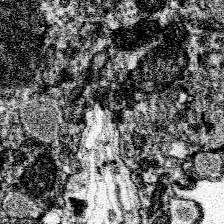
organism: Spongilla lacustris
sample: Neuroid cell